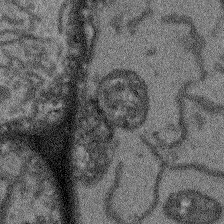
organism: Arabidopsis thaliana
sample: Root tip